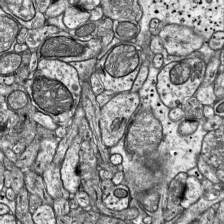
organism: Mouse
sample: Visual Cortex